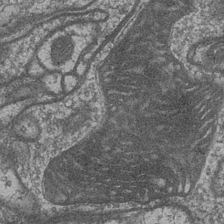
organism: Drosophila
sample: Optic medulla